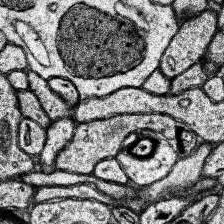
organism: Human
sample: Temporal Lobe